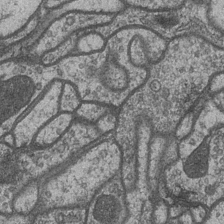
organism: Drosophila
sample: Optic medulla